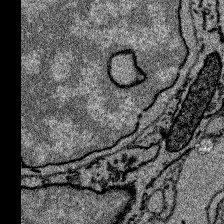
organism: Zebrafish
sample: Larval olfactory bulb